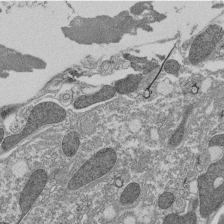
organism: Tetrahymena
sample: Cilia in tetrahymena